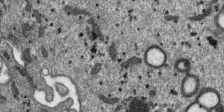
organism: Human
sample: Lung epithelial cells infected with SARS-CoV-2